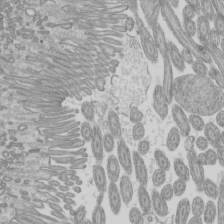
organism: Mouse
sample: Cilia; mouse epididymis